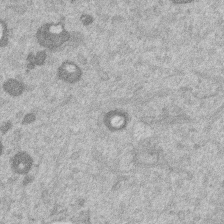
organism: Mouse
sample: Dividing mouse embryo 1 cell stage